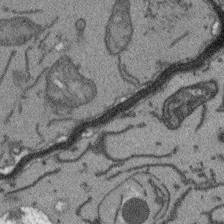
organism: Arabidopsis thaliana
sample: Root tip